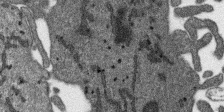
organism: Human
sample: Lung epithelial cells infected with SARS-CoV-2